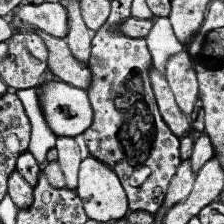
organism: Human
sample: Temporal Lobe